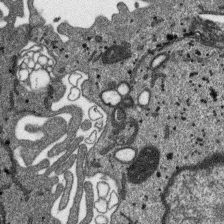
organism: Human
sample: Lung epithelial cells infected with SARS-CoV-2